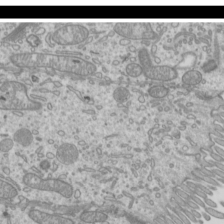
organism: Mouse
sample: Cilia; mouse epididymis